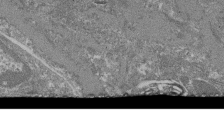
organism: Mouse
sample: Glomerulus